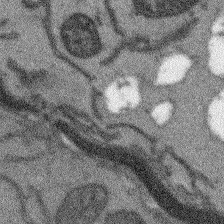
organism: Arabidopsis thaliana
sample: Root tip